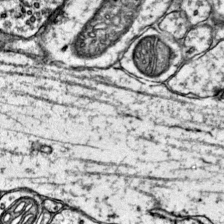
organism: Mouse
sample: Primary visual cortex